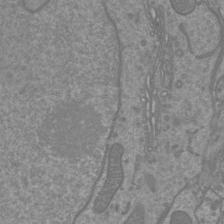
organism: Mouse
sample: Cortical neurons